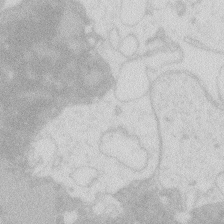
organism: Zebrafish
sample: Macrophage